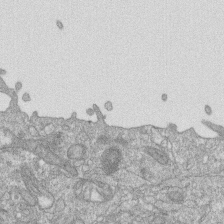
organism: Human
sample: HeLa cell HIV synapse